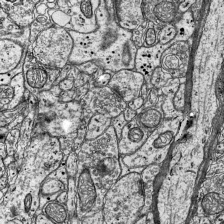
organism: Mouse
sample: Visual Cortex